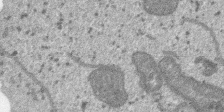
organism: Human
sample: Lung epithelial cells infected with SARS-CoV-2